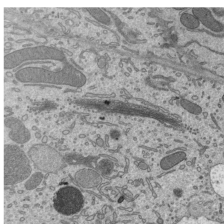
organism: Mouse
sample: Mouse epididymis efferent ductule cilia